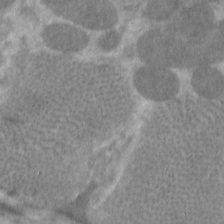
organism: C. elegans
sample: Pharynx